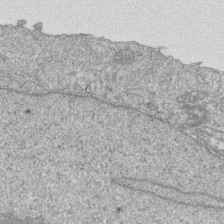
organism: Human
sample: HeLa cell HIV synapse